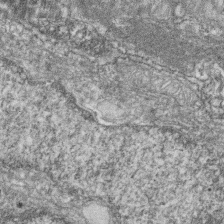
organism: Zebrafish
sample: Cilia; retinal pigment epithelium